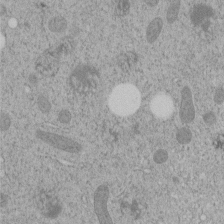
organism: C. elegans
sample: C. elegans embryo early stage